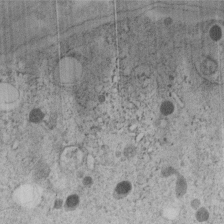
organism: C. elegans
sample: C. elegans embryo early stage